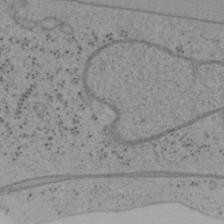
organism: Human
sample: HeLa cells